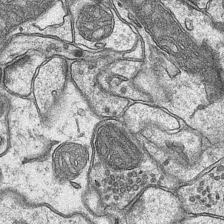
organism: Mouse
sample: CA1 Hippocampus